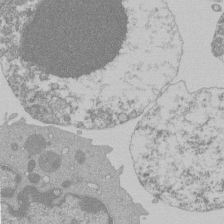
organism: Mouse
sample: Activated Pmel transgenic CD8+ T Cells